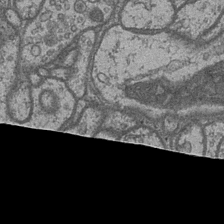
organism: Drosophila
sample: Optic medulla